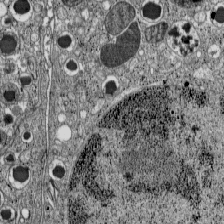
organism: C57BL Mouse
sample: Pancreatic islet